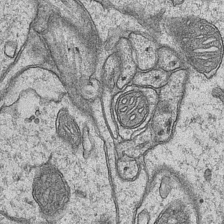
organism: Mouse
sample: CA1 Hippocampus